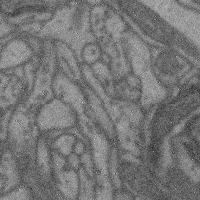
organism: Mouse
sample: Cerebral cortex